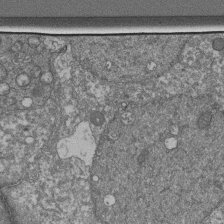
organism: Human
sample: Retinal organoid Rod and Cone cells